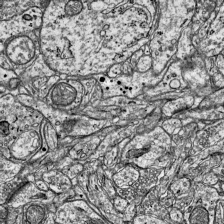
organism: Mouse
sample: Visual Cortex